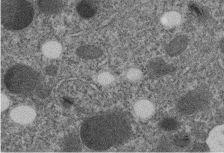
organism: C. elegans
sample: C. elegans embryo early stage